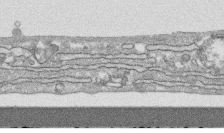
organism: Human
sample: CRL-1474